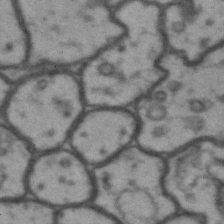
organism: Drosophila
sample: Brain